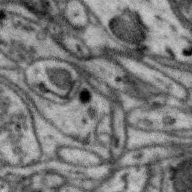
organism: Zebra finch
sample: Brain